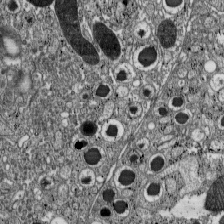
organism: C57BL Mouse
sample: Pancreatic islet